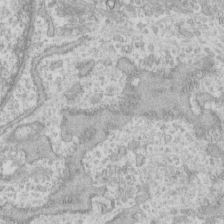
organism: Human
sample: CRL-1474